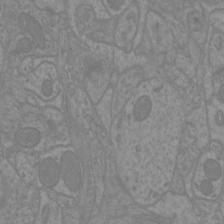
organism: Mouse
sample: Cortical neurons